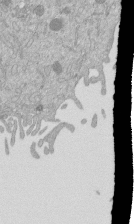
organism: Mouse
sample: ED-1 cell nuclei; centrioles